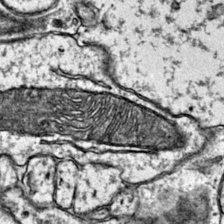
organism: Mouse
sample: Primary visual cortex